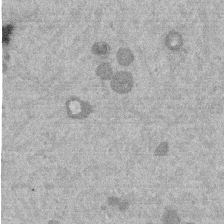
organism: Mouse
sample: Dividing mouse embryo 1 cell stage